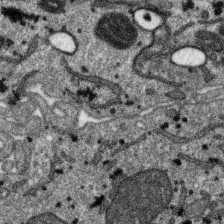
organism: Human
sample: Lung epithelial cells infected with SARS-CoV-2